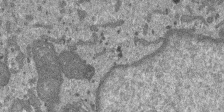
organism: Human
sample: Lung epithelial cells infected with SARS-CoV-2